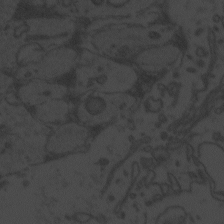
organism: Zebrafish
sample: Macrophage infected with Toxoplasma gondii